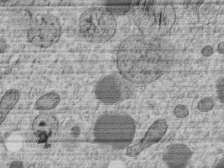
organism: C. elegans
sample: C. elegans embryo early stage